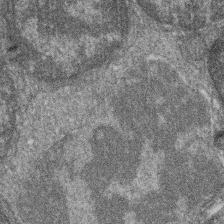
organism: Zebrafish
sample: Cilia; retinal pigment epithelium